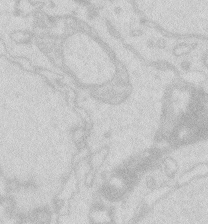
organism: Zebrafish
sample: Macrophage